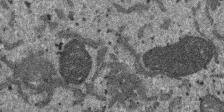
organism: Human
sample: Lung epithelial cells infected with SARS-CoV-2